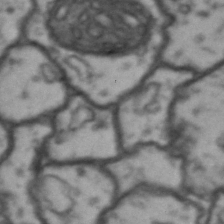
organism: Drosophila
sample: Brain